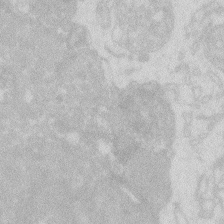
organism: Zebrafish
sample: Macrophage